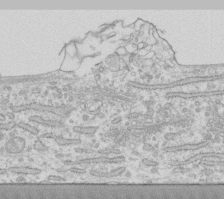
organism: Human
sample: Fibroblast cells